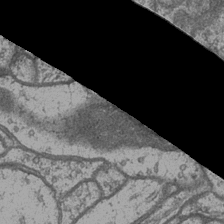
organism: Drosophila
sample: Optic medulla